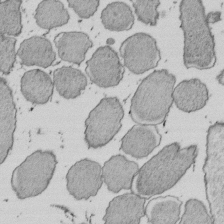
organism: E. coli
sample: Bacterial nucleoid